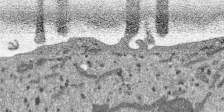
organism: Human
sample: Lung epithelial cells infected with SARS-CoV-2